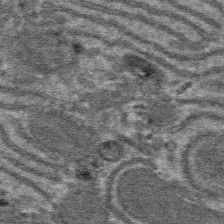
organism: Mouse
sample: Mouse hepatocytes